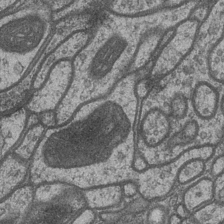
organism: Drosophila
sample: Optic medulla